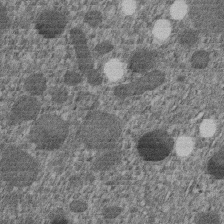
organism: C. elegans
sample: C. elegans embryo early stage